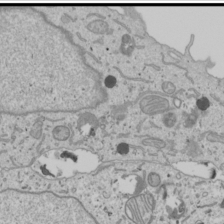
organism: Human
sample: Mitochondria in U2OS cells